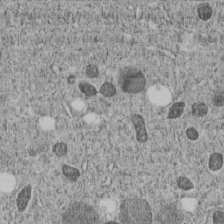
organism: C. elegans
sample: C. elegans embryo early stage